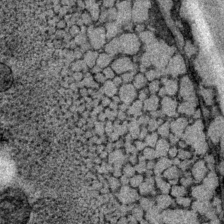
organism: P. pacificus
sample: Pharynx